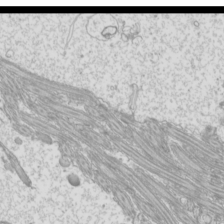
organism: Mouse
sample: Cilia; mouse epididymis